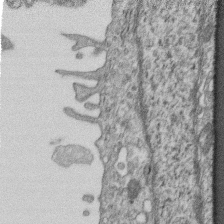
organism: Mouse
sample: Centriole in ependymal cells